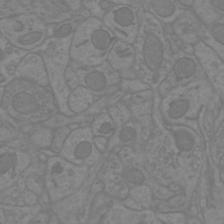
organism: Mouse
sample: Cortical neurons